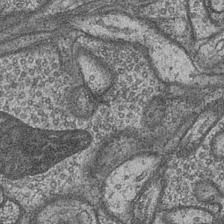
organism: Drosophila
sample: Optic medulla